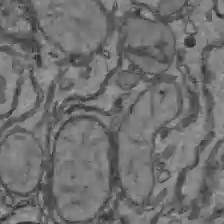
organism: C57BL Mouse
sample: Liver